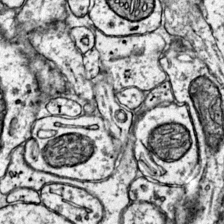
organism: Mouse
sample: Primary visual cortex